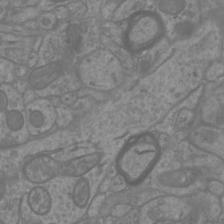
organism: Mouse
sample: Cortical neurons